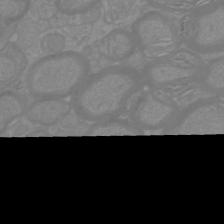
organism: Mouse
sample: Cortical neurons